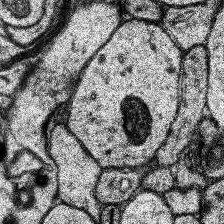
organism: Human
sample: Temporal Lobe